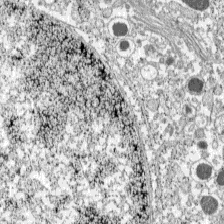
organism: C57BL Mouse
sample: Pancreatic islet